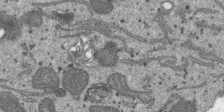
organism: Human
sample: Lung epithelial cells infected with SARS-CoV-2